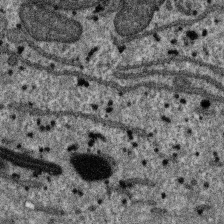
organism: Human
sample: Lung epithelial cells infected with SARS-CoV-2